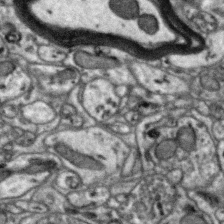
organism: Zebra finch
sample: Brain